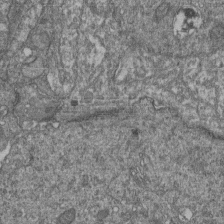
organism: Human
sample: Retinal organoid Rod and Cone cells